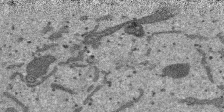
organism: Human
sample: Lung epithelial cells infected with SARS-CoV-2